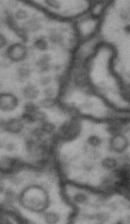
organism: Drosophila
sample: Brain